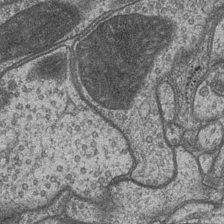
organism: Drosophila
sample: Optic medulla